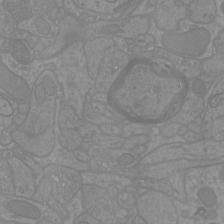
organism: Mouse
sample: Cortical neurons